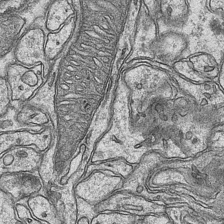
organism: Mouse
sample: CA1 Hippocampus